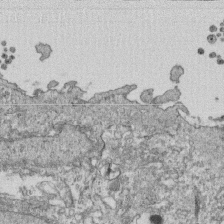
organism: Human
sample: HeLa cell HIV synapse